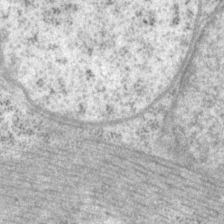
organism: P. pacificus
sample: Pharynx